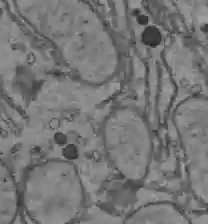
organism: C57BL Mouse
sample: Liver